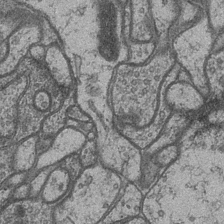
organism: Drosophila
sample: Optic medulla